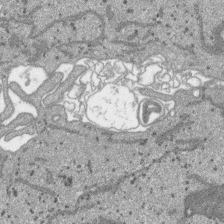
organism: Human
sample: Lung epithelial cells infected with SARS-CoV-2